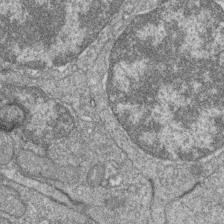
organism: Zebrafish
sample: Cilia; retinal pigment epithelium